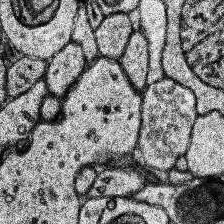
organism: Human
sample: Temporal Lobe